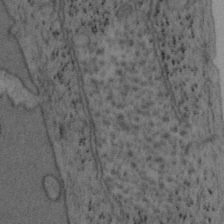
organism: Human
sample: HeLa cells